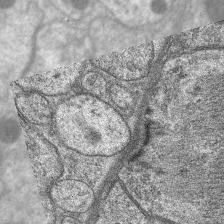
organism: C. elegans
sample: Pharynx